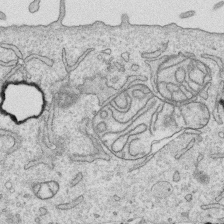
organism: Human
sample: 1205lu cells